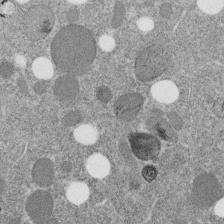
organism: C. elegans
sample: C. elegans embryo early stage